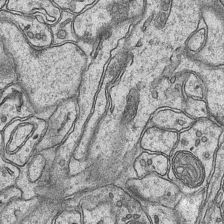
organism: Mouse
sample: CA1 Hippocampus